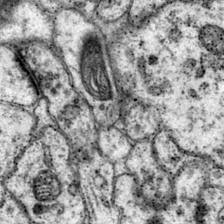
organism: Mouse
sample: Primary visual cortex